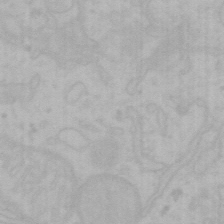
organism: Mouse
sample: Choroid plexus